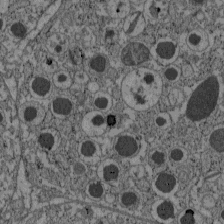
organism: C57BL Mouse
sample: Pancreatic islet